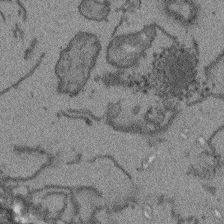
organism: Arabidopsis thaliana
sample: Root tip